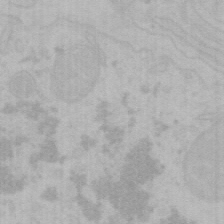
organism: Mouse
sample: Choroid plexus